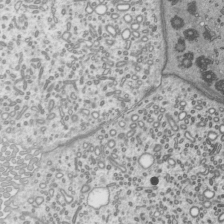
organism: Mouse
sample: Mouse epididymis efferent ductule cilia